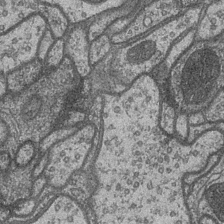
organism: Drosophila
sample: Optic medulla